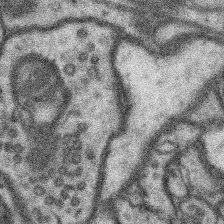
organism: Mouse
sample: Somatosensory cortex neuropil